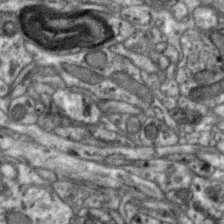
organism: Zebra finch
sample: Brain